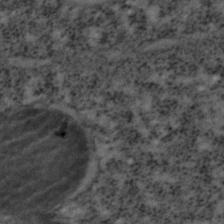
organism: C. elegans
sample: C. elegans embryo